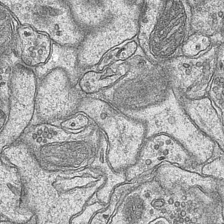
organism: Mouse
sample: CA1 Hippocampus